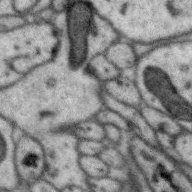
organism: Zebra finch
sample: Brain